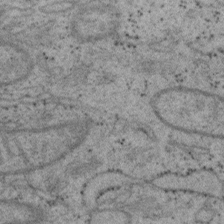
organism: Human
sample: HeLa cells